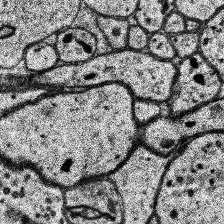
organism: Human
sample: Temporal Lobe